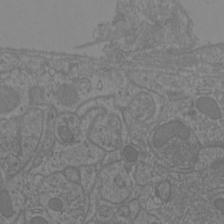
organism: Mouse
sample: Cortical neurons